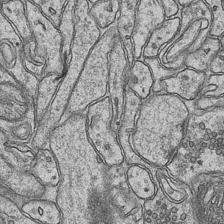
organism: Mouse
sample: CA1 Hippocampus